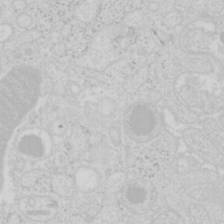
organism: Mouse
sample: Pancreas